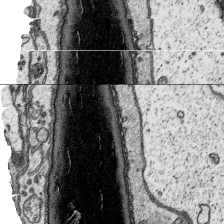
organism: Platynereis dumerilii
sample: Parapodia